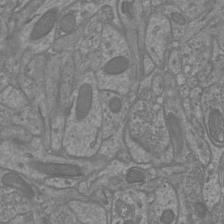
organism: Mouse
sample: Cortical neurons